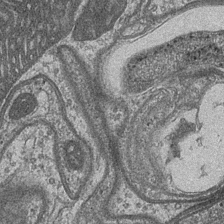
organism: Drosophila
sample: Optic medulla